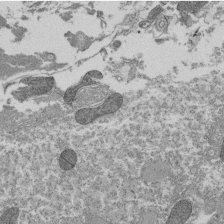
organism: Tetrahymena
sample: Cilia in tetrahymena